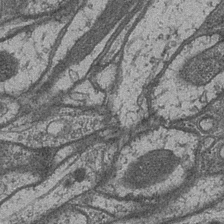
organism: Drosophila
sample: Optic medulla